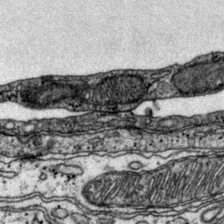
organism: Mouse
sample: Primary visual cortex